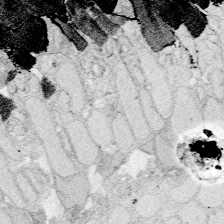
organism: Zebrafish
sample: Whole-Brain